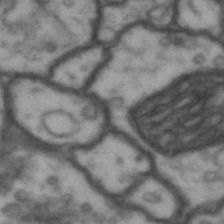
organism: Drosophila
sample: Brain